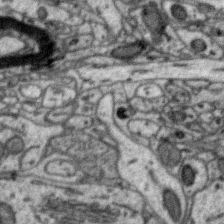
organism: Zebra finch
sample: Brain